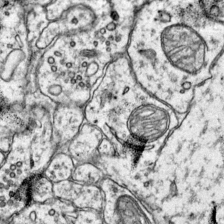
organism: Mouse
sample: Primary visual cortex